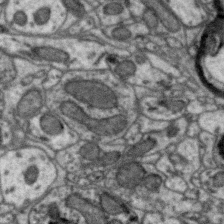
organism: Zebra finch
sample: Brain